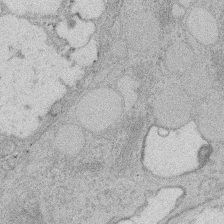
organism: Rat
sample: Salivary granule